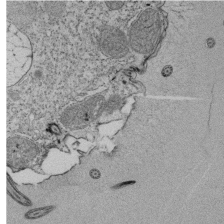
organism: Tetrahymena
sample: Cilia in tetrahymena